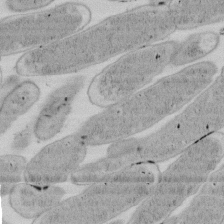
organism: E. coli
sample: Bacterial nucleoid